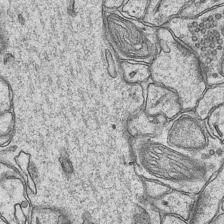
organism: Mouse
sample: CA1 Hippocampus